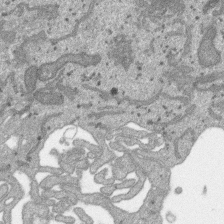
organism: Human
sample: Lung epithelial cells infected with SARS-CoV-2